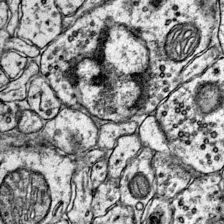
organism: Mouse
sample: Primary visual cortex